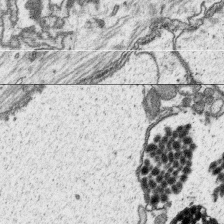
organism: Platynereis dumerilii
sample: Parapodia